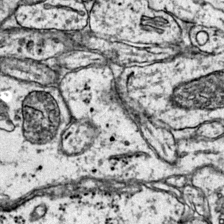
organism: Mouse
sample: Primary visual cortex